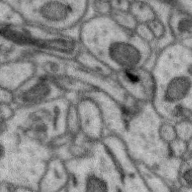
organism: Zebra finch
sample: Brain